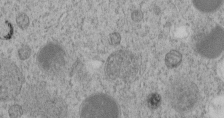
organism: C. elegans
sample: C. elegans embryo early stage